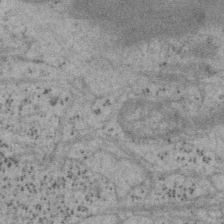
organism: Human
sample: HeLa cells